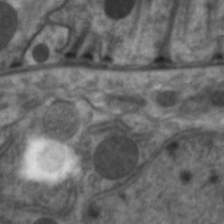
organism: C. elegans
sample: Pharynx